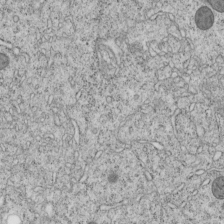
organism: C. elegans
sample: C. elegans embryo early stage